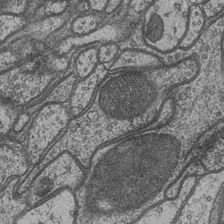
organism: Drosophila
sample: Optic medulla